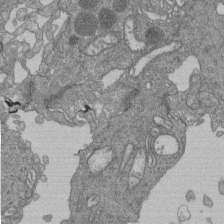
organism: Human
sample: Retinal organoid Rod and Cone cells